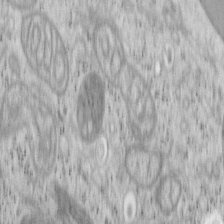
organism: Human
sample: HeLa cells